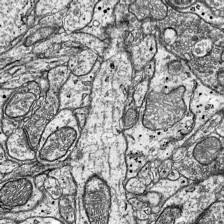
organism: Mouse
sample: Visual Cortex